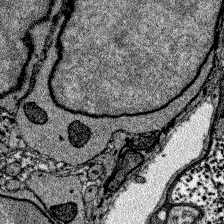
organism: Zebrafish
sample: Larval olfactory bulb